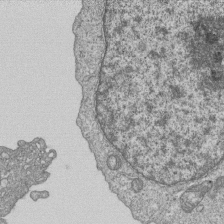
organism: Human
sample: MDA-MB-231 cells